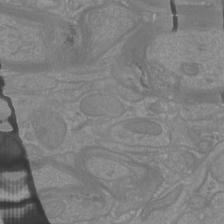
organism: Mouse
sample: Cortical neurons